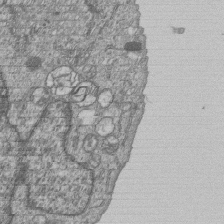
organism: Human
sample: MDA-MB-231 cells